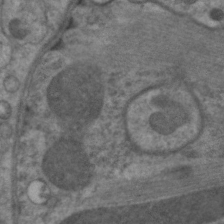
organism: C. elegans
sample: Pharynx